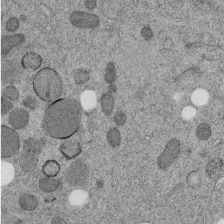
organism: C. elegans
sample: C. elegans embryo early stage